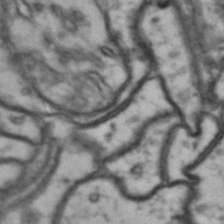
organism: Drosophila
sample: Brain